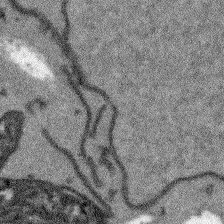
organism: Arabidopsis thaliana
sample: Root tip